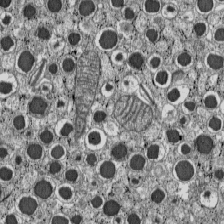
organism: C57BL Mouse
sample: Pancreatic islet